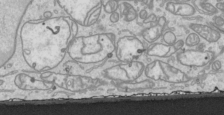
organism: Human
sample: Mitochondria in HCT116 cells